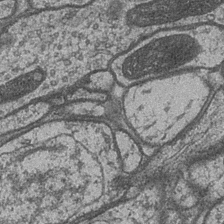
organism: Drosophila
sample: Optic medulla